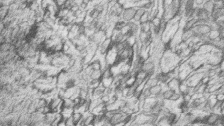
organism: Zebrafish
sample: synaptic ribbons in rod cells and cone cells